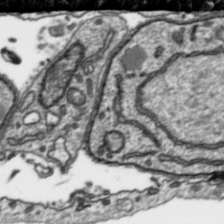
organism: Toxoplasma gondii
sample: Parasites in a vacuole inside a host cell